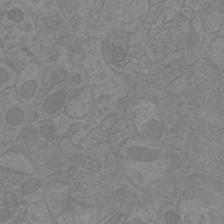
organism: Mouse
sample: Cortical neurons